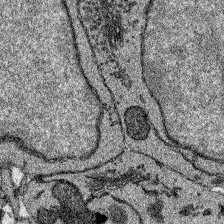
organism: Zebrafish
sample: Larval olfactory bulb